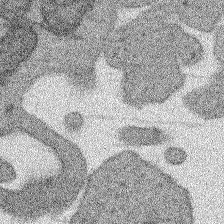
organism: Human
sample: HeLa cells